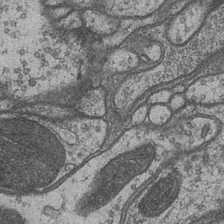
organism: Drosophila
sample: Optic medulla